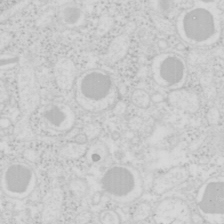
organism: Mouse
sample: Pancreas